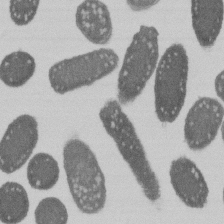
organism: E. coli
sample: Bacterial nucleoid